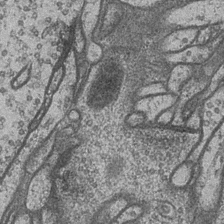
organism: Drosophila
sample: Optic medulla